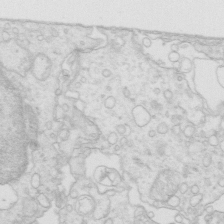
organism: Mouse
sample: Multiciliated cells